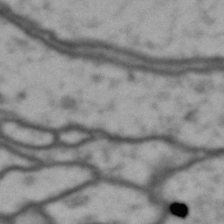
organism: Drosophila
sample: Brain